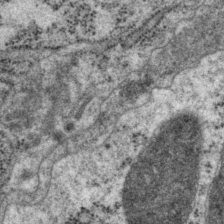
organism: P. pacificus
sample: Pharynx